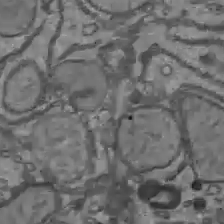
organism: C57BL Mouse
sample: Liver